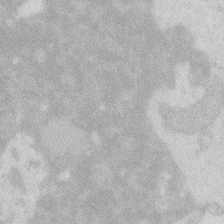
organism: Zebrafish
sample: Macrophage